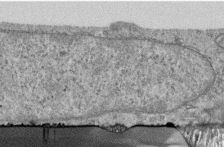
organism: Human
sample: Centriole in RPE cells